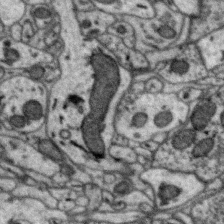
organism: Zebra finch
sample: Brain